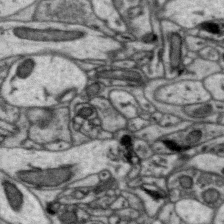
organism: Zebra finch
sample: Brain